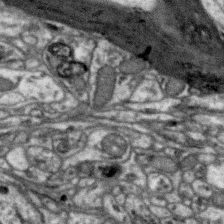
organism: Zebra finch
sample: Brain